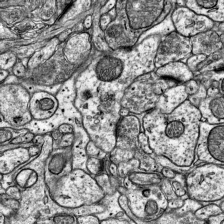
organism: Mouse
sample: Visual Cortex